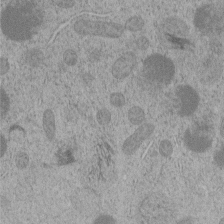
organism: C. elegans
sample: C. elegans embryo early stage